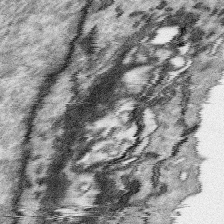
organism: Human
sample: HeLa cells